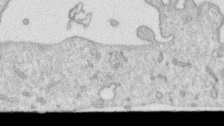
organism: Human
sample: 1205lu cells